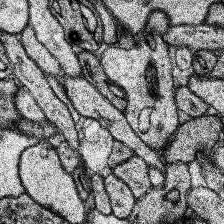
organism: Human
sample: Temporal Lobe